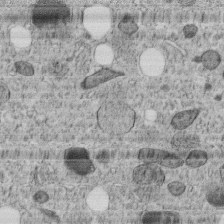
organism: C. elegans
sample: C. elegans embryo early stage